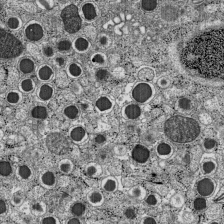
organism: C57BL Mouse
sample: Pancreatic islet